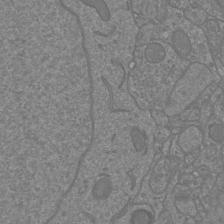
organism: Mouse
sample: Cortical neurons